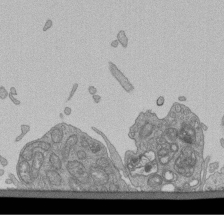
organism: Human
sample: Retinal organoid Rod and Cone cells